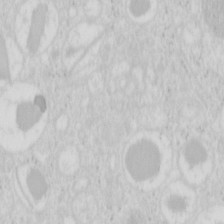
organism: Mouse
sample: Pancreas